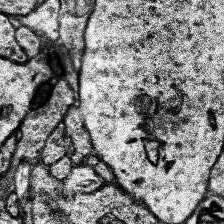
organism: Human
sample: Temporal Lobe